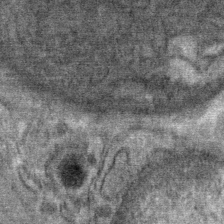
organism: Mouse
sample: Mouse Salivary gland